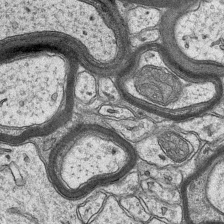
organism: Mouse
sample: CA1 Hippocampus